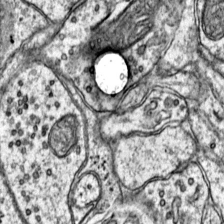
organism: Mouse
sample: Primary visual cortex